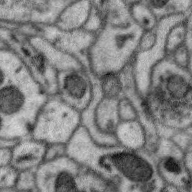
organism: Zebra finch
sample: Brain